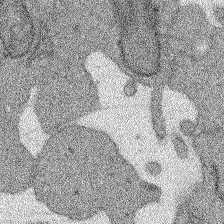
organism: Human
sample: HeLa cells